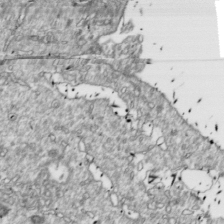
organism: Drosophila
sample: Cell division; meiosis; drosophila spermatocytes